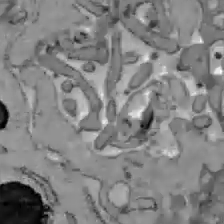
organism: C57BL Mouse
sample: Liver